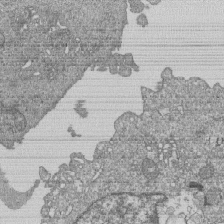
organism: Human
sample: MDA-MB-231 cells